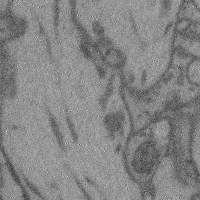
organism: Mouse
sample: Cerebral cortex